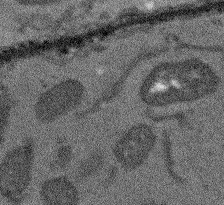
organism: Arabidopsis thaliana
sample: Root tip